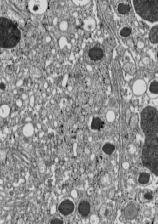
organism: C57BL Mouse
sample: Pancreatic islet